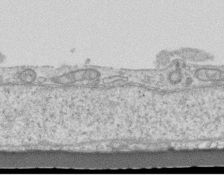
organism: Mouse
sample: Centriole in ependymal cells